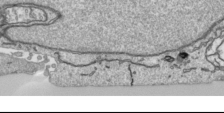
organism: Human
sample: Mitochondria in HCT116 cells